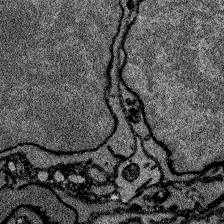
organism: Zebrafish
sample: Larval olfactory bulb